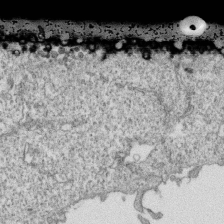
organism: Human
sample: HeLa cell HIV synapse